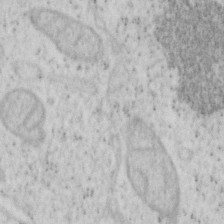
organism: Human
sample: HeLa cells